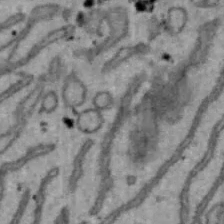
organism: Mouse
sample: Liver